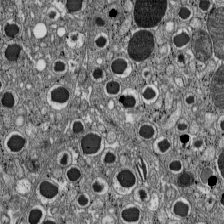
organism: C57BL Mouse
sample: Pancreatic islet